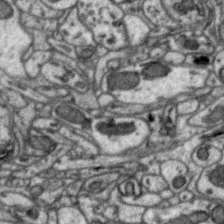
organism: Zebra finch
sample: Brain